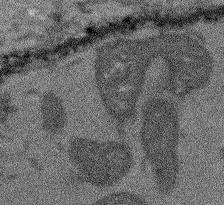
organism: Arabidopsis thaliana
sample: Root tip